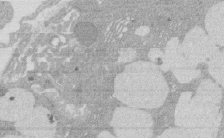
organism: Rat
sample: Salivary granule